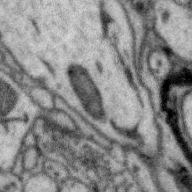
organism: Zebra finch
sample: Brain